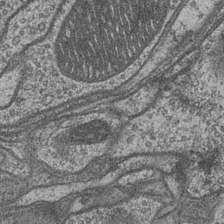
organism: Drosophila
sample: Optic medulla